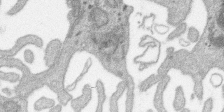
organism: Human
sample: Lung epithelial cells infected with SARS-CoV-2